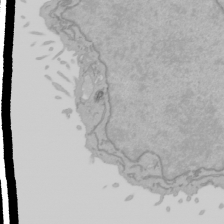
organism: Mouse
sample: Cancer cell death in ED-1 cells